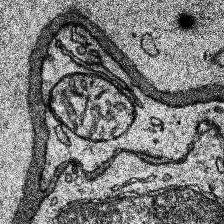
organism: Human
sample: Temporal Lobe